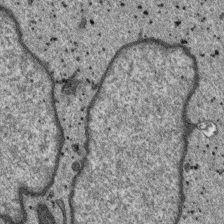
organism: Human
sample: Lung epithelial cells, uninfected (mock) control